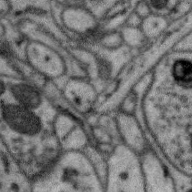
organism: Zebra finch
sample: Brain